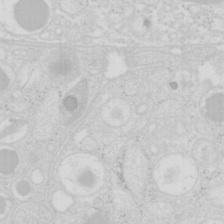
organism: Mouse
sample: Pancreas